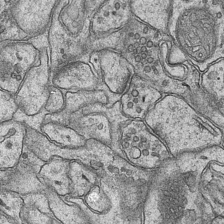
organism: Mouse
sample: CA1 Hippocampus